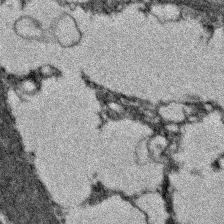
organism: Zebrafish